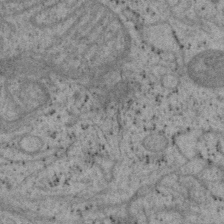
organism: Human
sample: HeLa cells